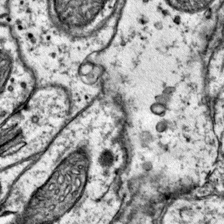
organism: Mouse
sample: Primary visual cortex